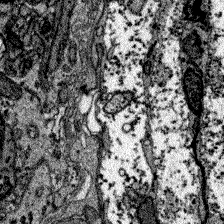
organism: Zebrafish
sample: Larval olfactory bulb